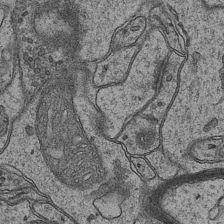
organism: Mouse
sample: CA1 Hippocampus